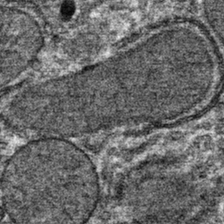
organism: Mouse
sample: Mouse hepatocytes